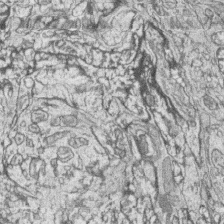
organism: Zebrafish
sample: synaptic ribbons in rod cells and cone cells